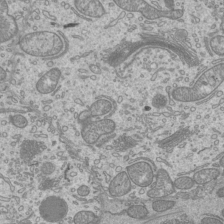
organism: Mouse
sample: Cilia; mouse epididymis